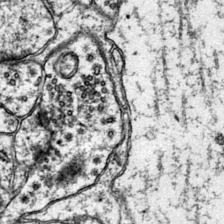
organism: Mouse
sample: Primary visual cortex